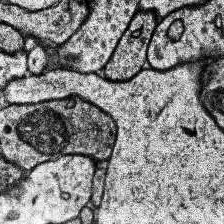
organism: Human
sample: Temporal Lobe